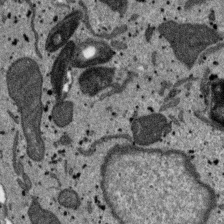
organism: Human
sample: Lung epithelial cells, uninfected (mock) control